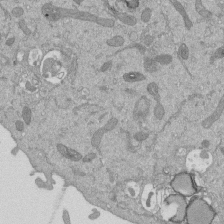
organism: Mouse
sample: ED-1 cell nuclei; centrioles